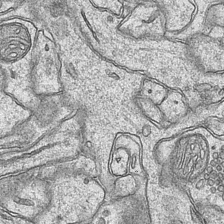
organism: Mouse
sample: CA1 Hippocampus